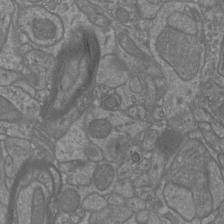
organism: Mouse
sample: Cortical neurons